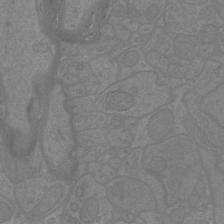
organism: Mouse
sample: Cortical neurons